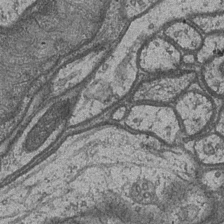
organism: Drosophila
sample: Optic medulla